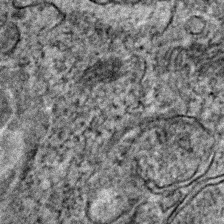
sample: Trachea